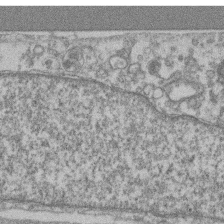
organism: Mouse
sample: T cell stromal cell synapse